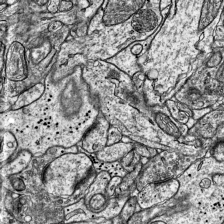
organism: Mouse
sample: Visual Cortex